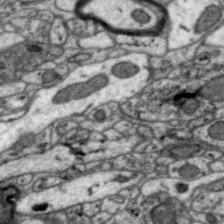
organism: Zebra finch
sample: Brain